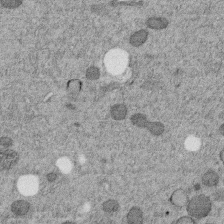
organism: C. elegans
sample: C. elegans embryo early stage